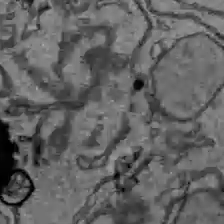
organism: C57BL Mouse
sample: Liver